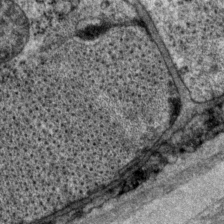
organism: P. pacificus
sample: Pharynx